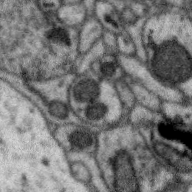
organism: Zebra finch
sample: Brain